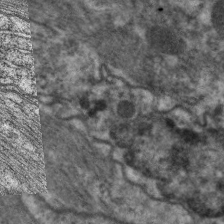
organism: C. elegans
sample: Pharynx